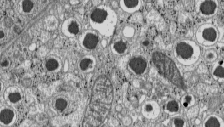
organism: C57BL Mouse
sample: Pancreatic islet